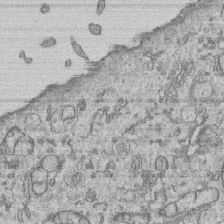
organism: Human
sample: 1205lu cells